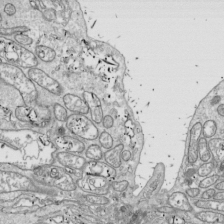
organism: Drosophila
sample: Cell division; meiosis; drosophila spermatocytes